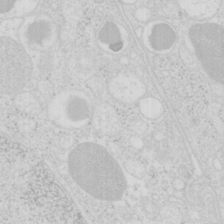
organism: Mouse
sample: Pancreas